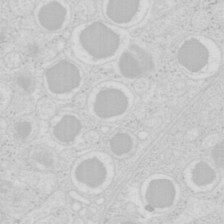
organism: Mouse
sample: Pancreas